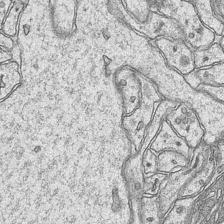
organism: Mouse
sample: CA1 Hippocampus